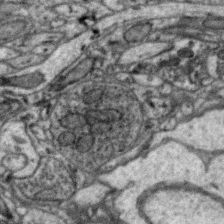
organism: Zebra finch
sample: Brain